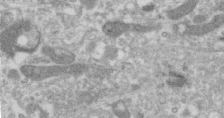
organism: Human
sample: Centriole in RPE cells